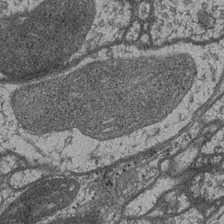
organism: Drosophila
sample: Optic medulla